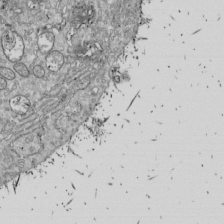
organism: Drosophila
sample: Cell division; meiosis; drosophila spermatocytes